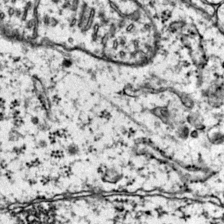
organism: Mouse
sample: Primary visual cortex